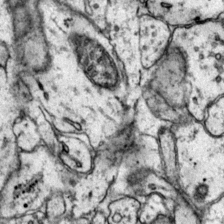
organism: Mouse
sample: Primary visual cortex